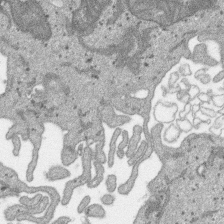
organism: Human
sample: Lung epithelial cells infected with SARS-CoV-2